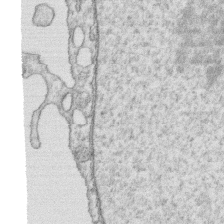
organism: Human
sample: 1205lu cells